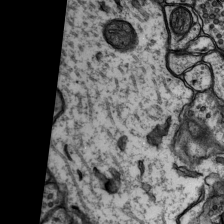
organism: Rat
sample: Hippocampus